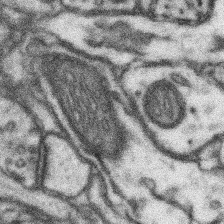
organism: Mouse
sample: Somatosensory cortex neuropil